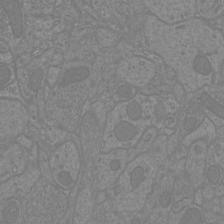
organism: Mouse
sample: Cortical neurons